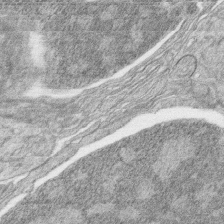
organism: Zebrafish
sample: synaptic ribbons in rod cells and cone cells